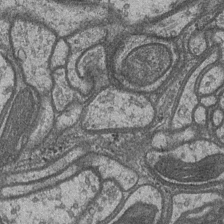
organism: Drosophila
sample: Optic medulla